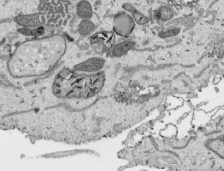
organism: Human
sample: Mitochondria in HCT116 cells